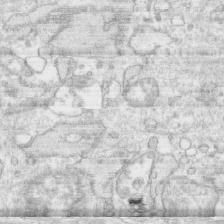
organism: Human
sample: CRL-1474